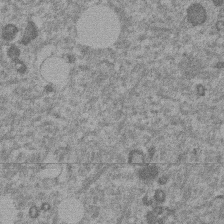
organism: Mouse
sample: Dividing mouse embryo 1 cell stage